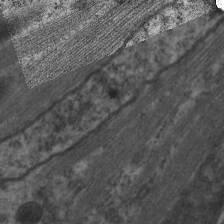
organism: C. elegans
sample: Pharynx